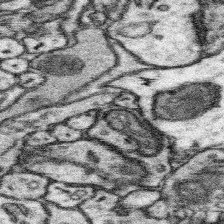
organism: Mouse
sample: Somatosensory cortex neuropil